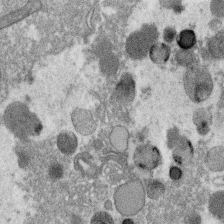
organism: C. elegans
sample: C. elegans oocyte; sperm cells